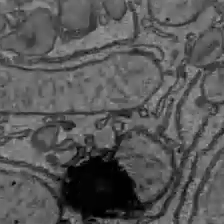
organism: C57BL Mouse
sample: Liver